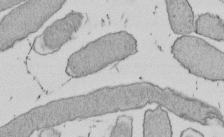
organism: E. coli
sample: Bacterial nucleoid